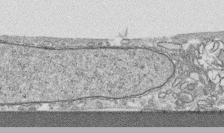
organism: Human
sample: CRL-1474